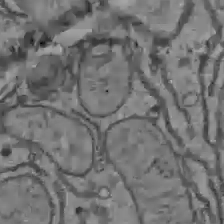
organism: C57BL Mouse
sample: Liver